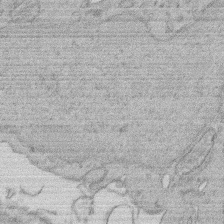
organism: Rat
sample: Salivary granule